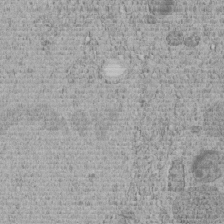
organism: C. elegans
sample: C. elegans embryo early stage